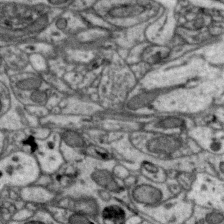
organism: Zebra finch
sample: Brain